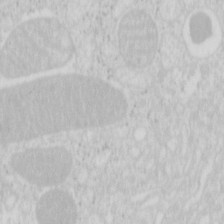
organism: Mouse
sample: Pancreas